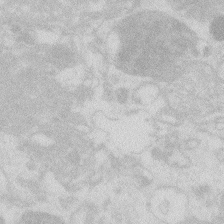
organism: Zebrafish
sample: Macrophage